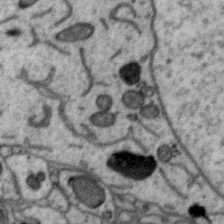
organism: Zebra finch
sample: Brain